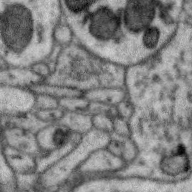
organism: Zebra finch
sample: Brain